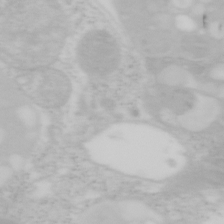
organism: Mouse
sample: OT-I killer T cells with ID8 ovarian cancer cells